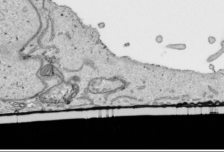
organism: Human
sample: Mitochondria in HCT116 cells